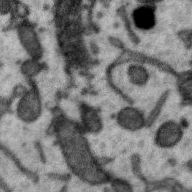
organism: Zebra finch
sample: Brain